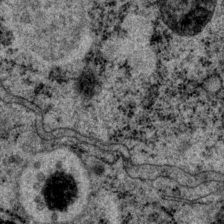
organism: P. pacificus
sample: Pharynx